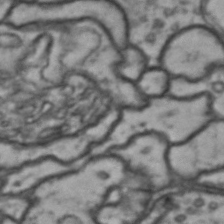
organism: Drosophila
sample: Brain